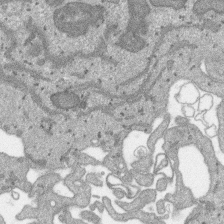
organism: Human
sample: Lung epithelial cells infected with SARS-CoV-2